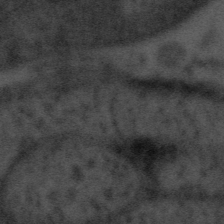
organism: Tuwongella immobilis